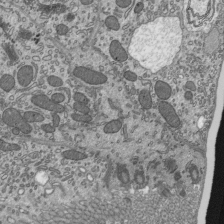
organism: Mouse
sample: Mouse epididymis efferent ductule cilia